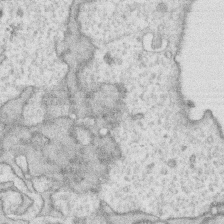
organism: Human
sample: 1205lu cells